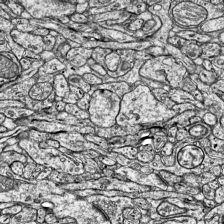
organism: Mouse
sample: Visual Cortex